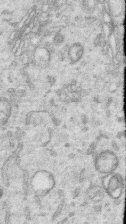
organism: Human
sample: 1205lu cells